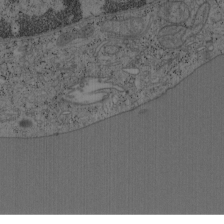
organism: Mouse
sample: OT-I killer T cells with ID8 ovarian cancer cells